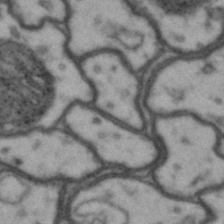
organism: Drosophila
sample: Brain